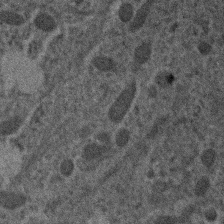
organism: Human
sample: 1205lu cells